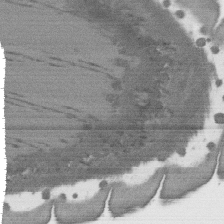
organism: C. elegans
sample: AFD neurons C. elegans